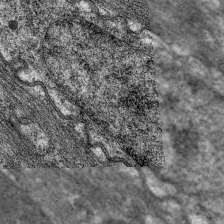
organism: C. elegans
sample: Pharynx